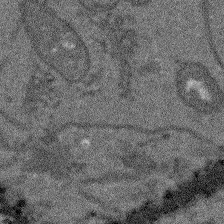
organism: Arabidopsis thaliana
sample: Root tip